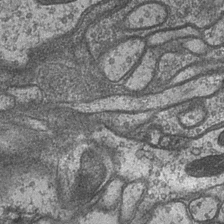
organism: Drosophila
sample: Optic medulla